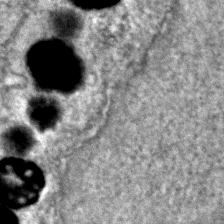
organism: Zebrafish